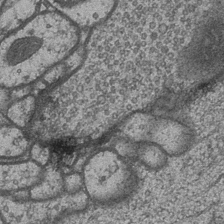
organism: Drosophila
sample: Optic medulla